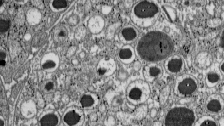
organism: C57BL Mouse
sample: Pancreatic islet